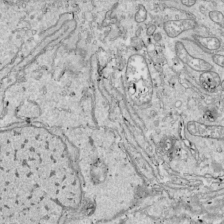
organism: Drosophila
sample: Cell division; meiosis; drosophila spermatocytes